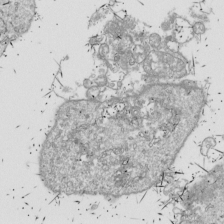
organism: Drosophila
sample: Cell division; meiosis; drosophila spermatocytes